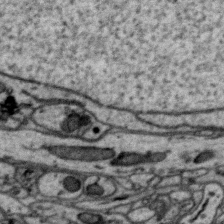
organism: Zebra finch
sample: Brain